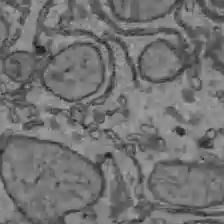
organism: C57BL Mouse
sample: Liver